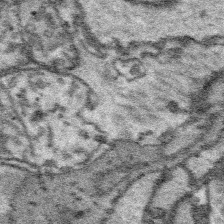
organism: Platynereis dumerilii